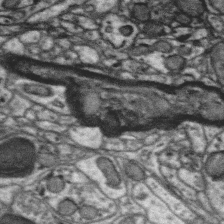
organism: Zebra finch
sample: Brain